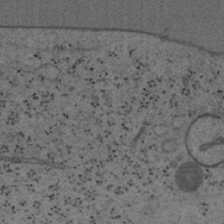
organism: Human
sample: HeLa cells